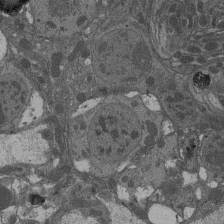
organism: Drosophila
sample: Antenna